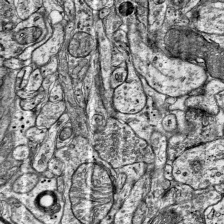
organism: Mouse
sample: Visual Cortex